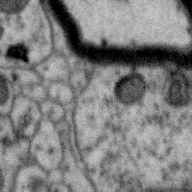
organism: Zebra finch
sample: Brain